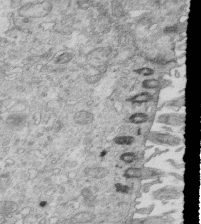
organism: Mouse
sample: Multiciliated cells